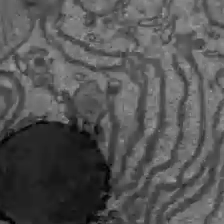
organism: C57BL Mouse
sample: Liver